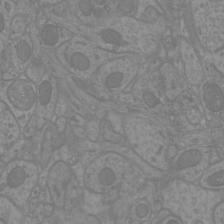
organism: Mouse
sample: Cortical neurons